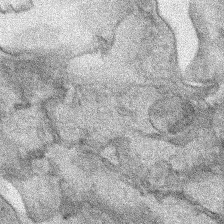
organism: Human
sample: Mitochondria in HCT116 cells